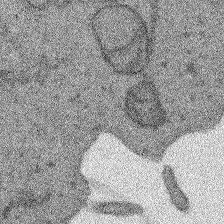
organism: Human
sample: HeLa cells